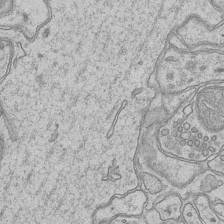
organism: Mouse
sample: CA1 Hippocampus